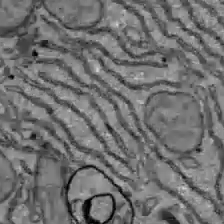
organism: C57BL Mouse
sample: Liver